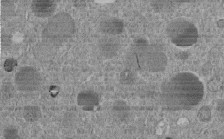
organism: C. elegans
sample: C. elegans embryo early stage